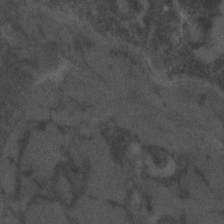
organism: C. elegans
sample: C. elegans embryo